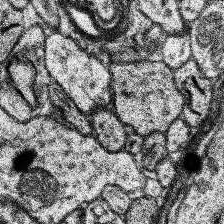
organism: Human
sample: Temporal Lobe